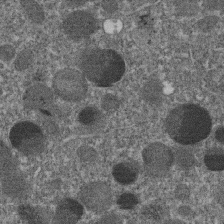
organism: C. elegans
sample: C. elegans embryo early stage